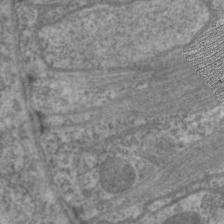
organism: C. elegans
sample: Pharynx